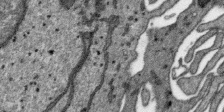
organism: Human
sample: Lung epithelial cells, uninfected (mock) control